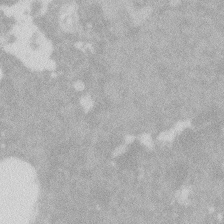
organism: Zebrafish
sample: Macrophage